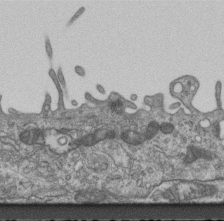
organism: Mouse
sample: Centriole in ependymal cells